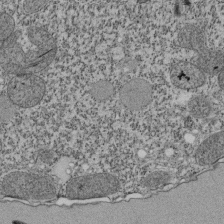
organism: Tetrahymena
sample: Cilia in tetrahymena